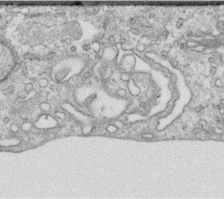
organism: Human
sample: Centriole in RPE cells